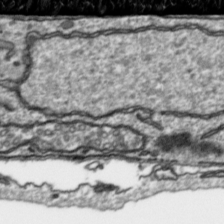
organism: Toxoplasma gondii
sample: Parasites in a vacuole inside a host cell